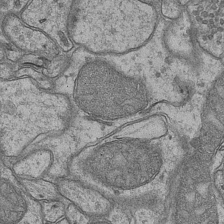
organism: Mouse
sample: CA1 Hippocampus